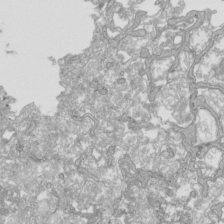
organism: Human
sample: Mitochondria in HCT116 cells